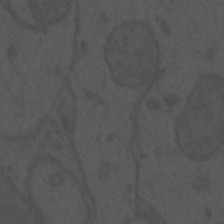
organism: Mouse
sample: Suprachiasmatic nucleus